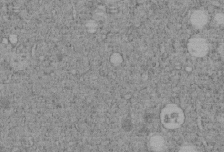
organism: C. elegans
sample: C. elegans embryo early stage